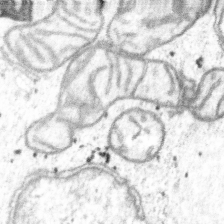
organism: Human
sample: HeLa cells